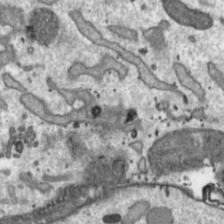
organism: Toxoplasma gondii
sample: Parasites in a vacuole inside a host cell